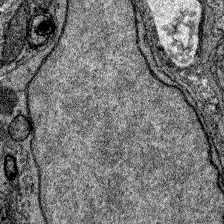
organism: Zebrafish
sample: Larval olfactory bulb